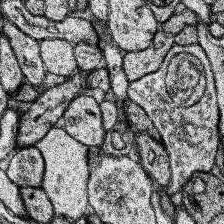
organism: Human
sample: Temporal Lobe